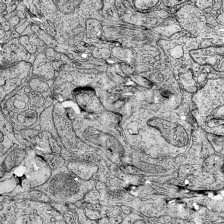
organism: Mouse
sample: Visual Cortex